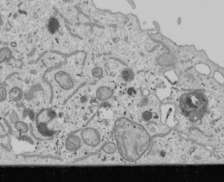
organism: Human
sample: Mitochondria in U2OS cells